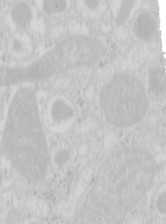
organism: Mouse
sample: Pancreas